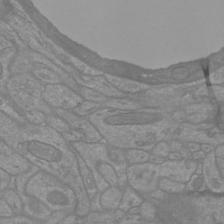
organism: Mouse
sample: Cortical neurons